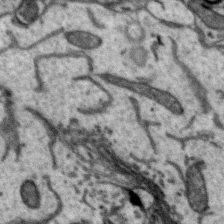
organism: Zebra finch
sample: Brain